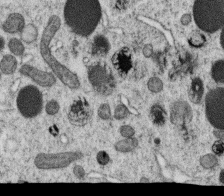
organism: C. elegans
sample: C. elegans oocyte; sperm cells